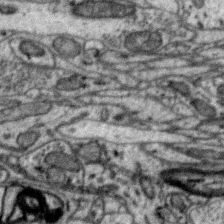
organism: Zebra finch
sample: Brain